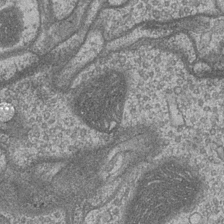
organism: Drosophila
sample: Optic medulla